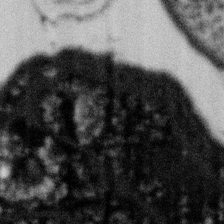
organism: Gemmata obscuriglobus